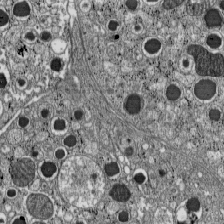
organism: C57BL Mouse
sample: Pancreatic islet